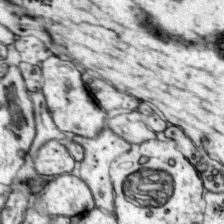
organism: Mouse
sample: Primary visual cortex